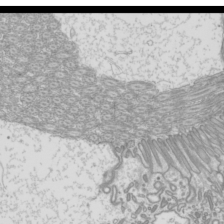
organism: Mouse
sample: Cilia; mouse epididymis